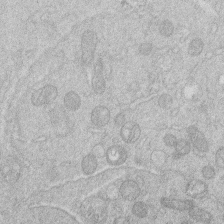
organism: Human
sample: Macrophage cells